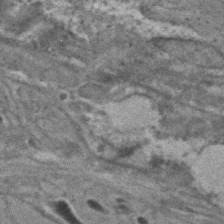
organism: C. elegans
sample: C. elegans embryo